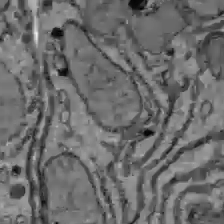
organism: C57BL Mouse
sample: Liver